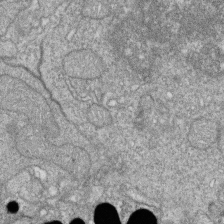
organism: Zebrafish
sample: Cilia; retinal pigment epithelium